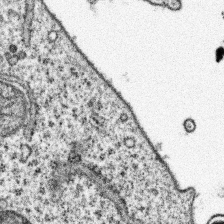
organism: Human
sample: HeLa cells